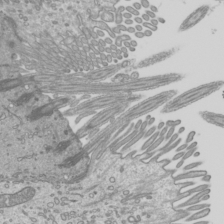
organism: Mouse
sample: Cilia; mouse epididymis